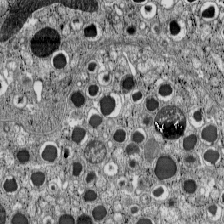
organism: C57BL Mouse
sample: Pancreatic islet